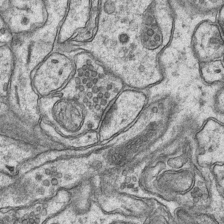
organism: Mouse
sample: CA1 Hippocampus